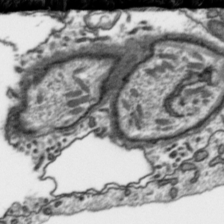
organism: Toxoplasma gondii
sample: Parasites in a vacuole inside a host cell